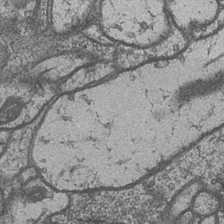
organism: Drosophila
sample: Optic medulla